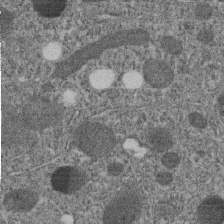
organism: C. elegans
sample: C. elegans embryo early stage